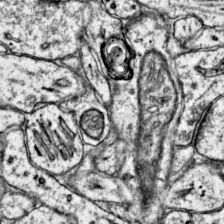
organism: Mouse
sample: Primary visual cortex